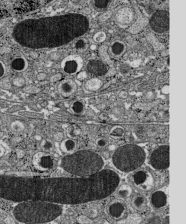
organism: C57BL Mouse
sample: Pancreatic islet